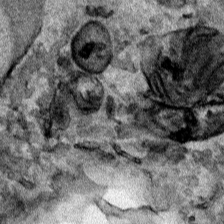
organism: Human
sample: Mitochondria in HCT116 cells